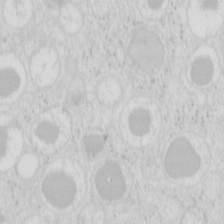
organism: Mouse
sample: Pancreas